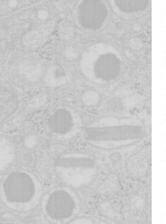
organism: Mouse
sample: Pancreas